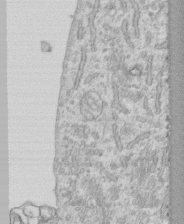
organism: Human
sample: CRL-1474